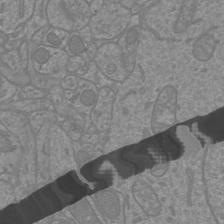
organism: Mouse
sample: Cortical neurons